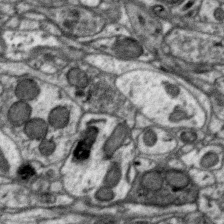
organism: Zebra finch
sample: Brain